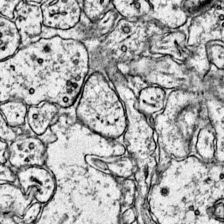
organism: Mouse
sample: Primary visual cortex